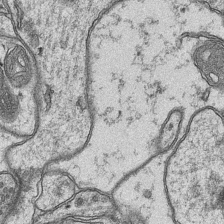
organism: Mouse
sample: CA1 Hippocampus